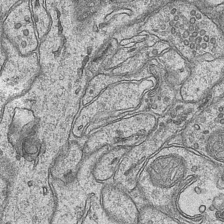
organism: Mouse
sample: CA1 Hippocampus